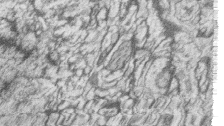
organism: Zebrafish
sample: synaptic ribbons in rod cells and cone cells